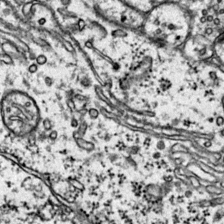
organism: Mouse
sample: Primary visual cortex